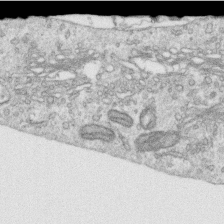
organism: Human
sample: Centriole in RPE cells